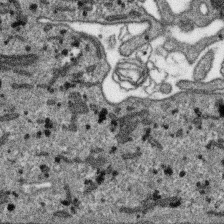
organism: Human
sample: Lung epithelial cells infected with SARS-CoV-2